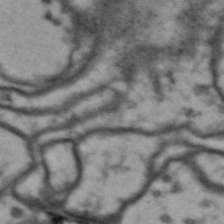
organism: Drosophila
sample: Brain